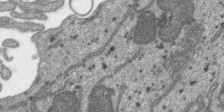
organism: Human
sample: Lung epithelial cells infected with SARS-CoV-2